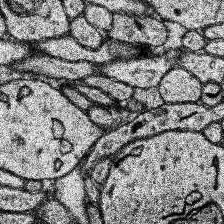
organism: Human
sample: Temporal Lobe